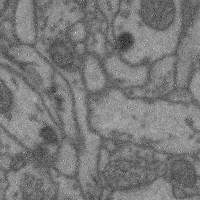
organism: Mouse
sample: Cerebral cortex